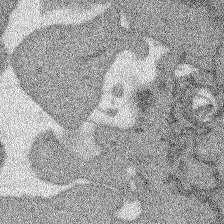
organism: Human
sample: HeLa cells